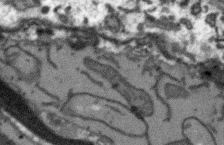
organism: Arabidopsis thaliana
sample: Root tip